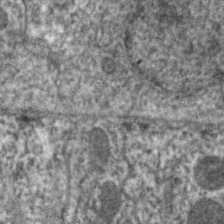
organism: C. elegans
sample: Pharynx